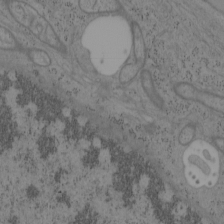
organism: Mouse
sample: OT-I killer T cells with ID8 ovarian cancer cells